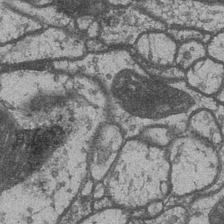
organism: Drosophila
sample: Optic medulla